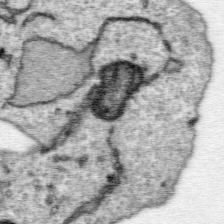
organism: Human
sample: HeLa cells